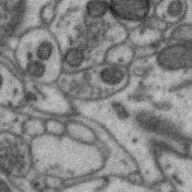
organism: Zebra finch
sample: Brain